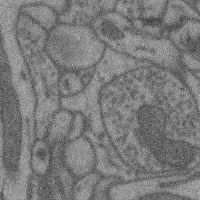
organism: Mouse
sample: Cerebral cortex